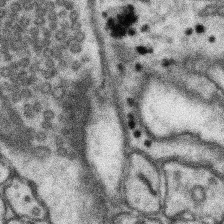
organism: Mouse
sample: Somatosensory cortex neuropil